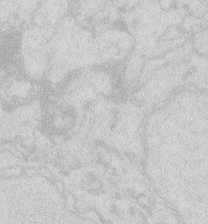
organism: Zebrafish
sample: Macrophage